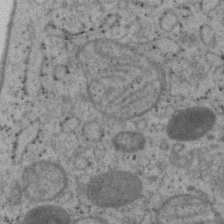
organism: Human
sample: HeLa cells